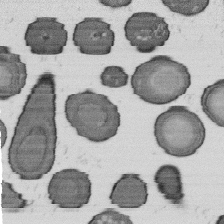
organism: B. subtilis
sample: Bacterial spore